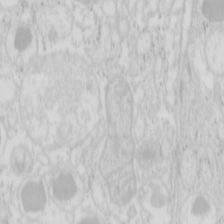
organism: Mouse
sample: Pancreas